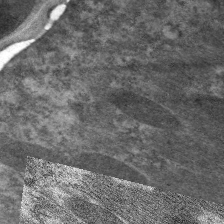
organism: C. elegans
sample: Pharynx